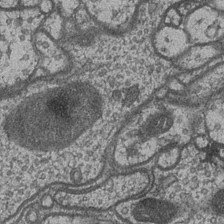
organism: Drosophila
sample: Optic medulla